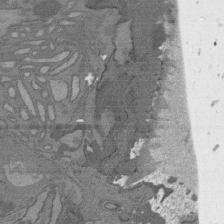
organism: C. elegans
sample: AFD neurons C. elegans